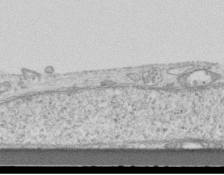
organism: Mouse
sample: Centriole in ependymal cells